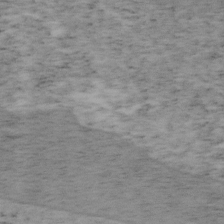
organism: Mouse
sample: OT-I killer T cells with ID8 ovarian cancer cells